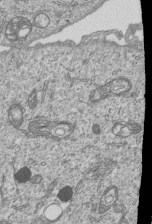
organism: Human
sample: MDA-MB-231 cells